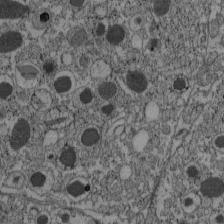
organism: C57BL Mouse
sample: Pancreatic islet